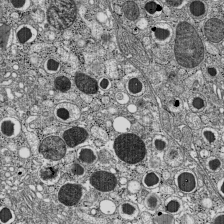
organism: C57BL Mouse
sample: Pancreatic islet